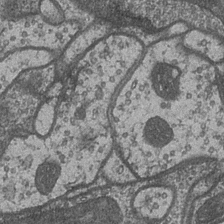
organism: Drosophila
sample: Optic medulla